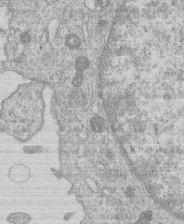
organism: Human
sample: Macrophage cells